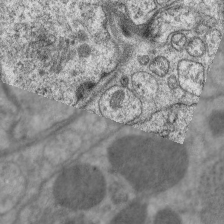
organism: C. elegans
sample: Pharynx